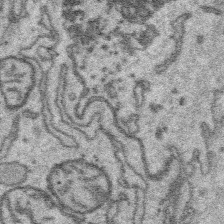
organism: Platynereis dumerilii